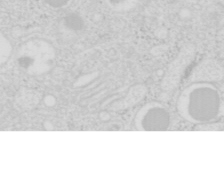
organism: Mouse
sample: Pancreas